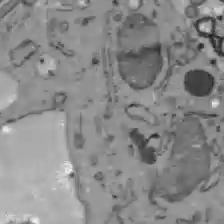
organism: C57BL Mouse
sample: Liver